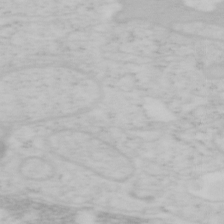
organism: Mouse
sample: OT-I killer T cells with ID8 ovarian cancer cells